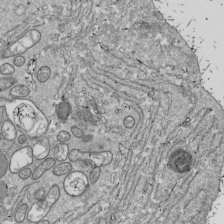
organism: Drosophila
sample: Cell division; meiosis; drosophila spermatocytes